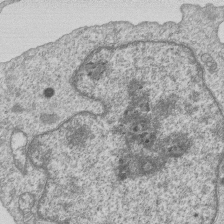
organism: Human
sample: MDA-MB-231 cells